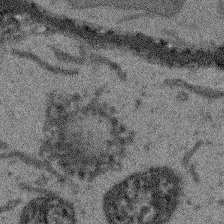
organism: Arabidopsis thaliana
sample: Root tip